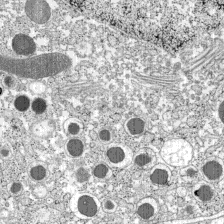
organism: C57BL Mouse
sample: Pancreatic islet